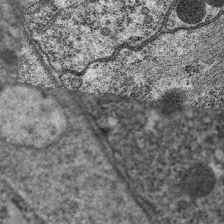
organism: C. elegans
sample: Pharynx